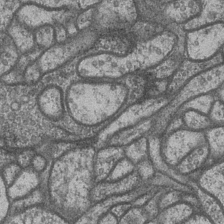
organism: Drosophila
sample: Optic medulla